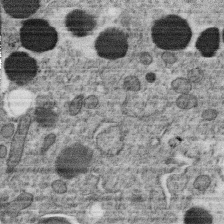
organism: C. elegans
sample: C. elegans oocyte; sperm cells